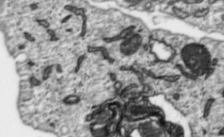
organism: Toxoplasma gondii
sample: Parasites in a vacuole inside a host cell